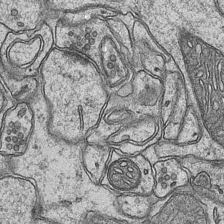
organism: Mouse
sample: CA1 Hippocampus